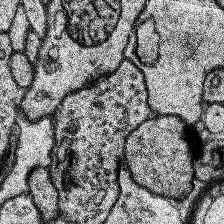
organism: Human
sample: Temporal Lobe